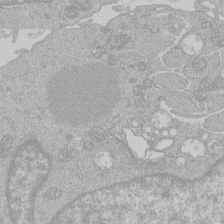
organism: Human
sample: Macrophage cells